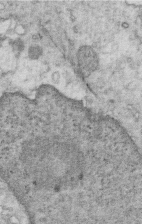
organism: Mouse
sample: Multiciliated cells